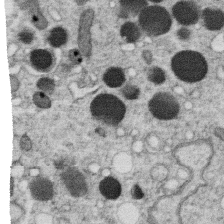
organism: C. elegans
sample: C. elegans oocyte; sperm cells